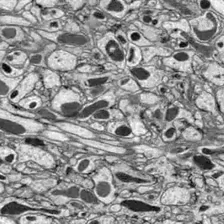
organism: Drosophila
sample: Optic lobe